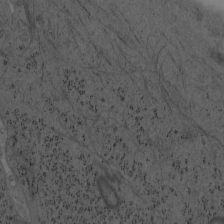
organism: Mouse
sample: OT-I killer T cells with ID8 ovarian cancer cells